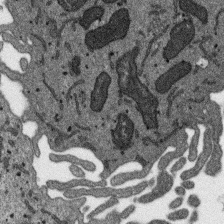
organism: Human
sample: Lung epithelial cells infected with SARS-CoV-2